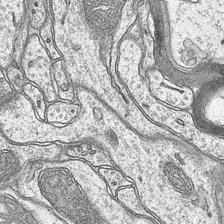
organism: Mouse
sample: CA1 Hippocampus